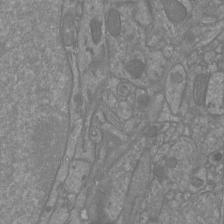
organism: Mouse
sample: Cortical neurons